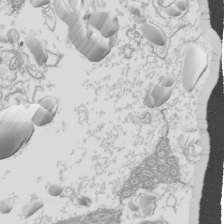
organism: Mouse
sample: Cilia; mouse epididymis